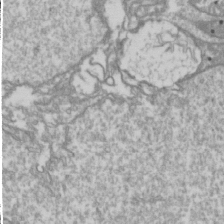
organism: Drosophila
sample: Cell division; meiosis; drosophila spermatocytes